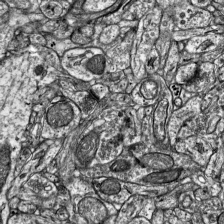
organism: Mouse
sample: Visual Cortex